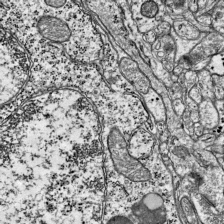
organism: Mouse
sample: Visual Cortex